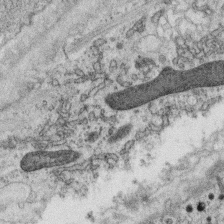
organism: C. elegans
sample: C. elegans oocyte; sperm cells